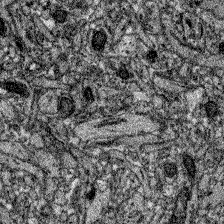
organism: Zebrafish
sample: Larval olfactory bulb